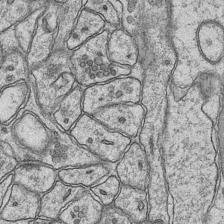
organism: Mouse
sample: CA1 Hippocampus